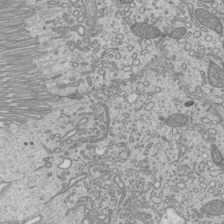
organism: Mouse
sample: Cilia; mouse epididymis